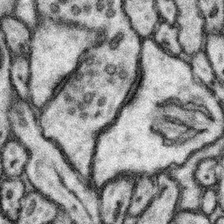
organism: Mouse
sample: Somatosensory cortex neuropil